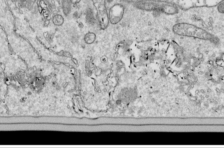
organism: Drosophila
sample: Cell division; meiosis; drosophila spermatocytes